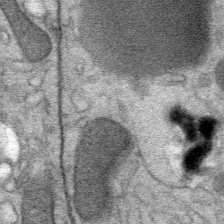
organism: Mouse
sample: Mouse Salivary gland